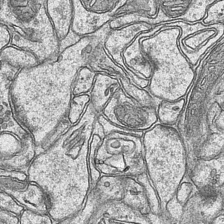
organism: Mouse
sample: CA1 Hippocampus